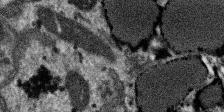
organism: Human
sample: Lung epithelial cells infected with SARS-CoV-2